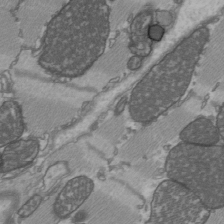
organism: C57BL Mouse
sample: Heart